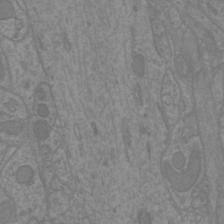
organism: Mouse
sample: Cortical neurons